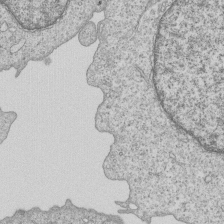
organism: Human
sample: MDA-MB-231 cells